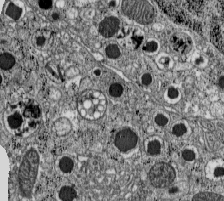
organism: C57BL Mouse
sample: Pancreatic islet